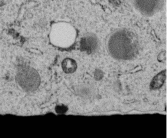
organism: C. elegans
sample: C. elegans embryo early stage